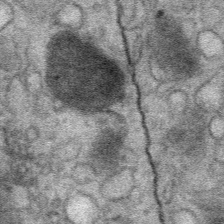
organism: Mouse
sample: Mouse Salivary gland